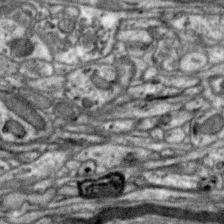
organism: Zebra finch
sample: Brain